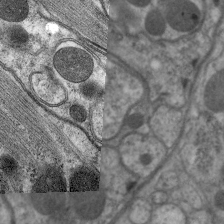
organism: C. elegans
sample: Pharynx